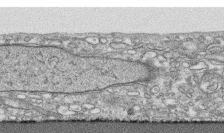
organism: Human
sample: CRL-1474